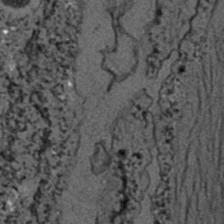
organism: C. elegans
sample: C. elegans embryo